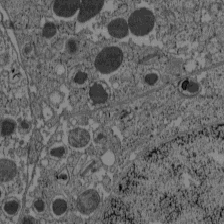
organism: C57BL Mouse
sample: Pancreatic islet